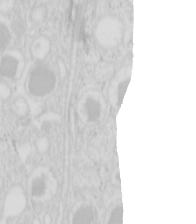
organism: Mouse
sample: Pancreas